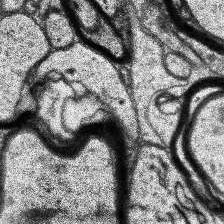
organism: Human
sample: Temporal Lobe